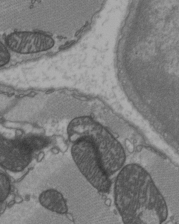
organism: C57BL Mouse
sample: Heart